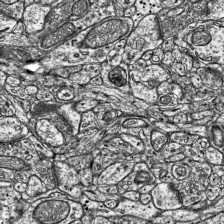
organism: Mouse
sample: Visual Cortex